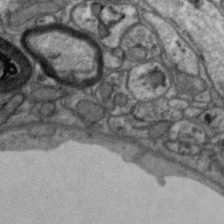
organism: Zebra finch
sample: Brain